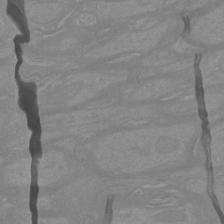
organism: Mouse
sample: Cortical neurons